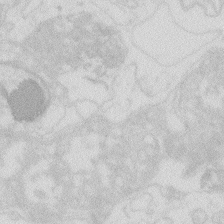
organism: Zebrafish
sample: Macrophage